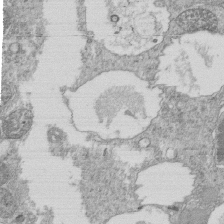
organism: Tetrahymena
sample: Cilia in tetrahymena